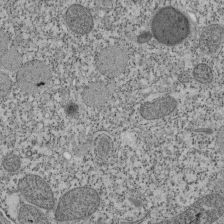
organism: Tetrahymena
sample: Cilia in tetrahymena